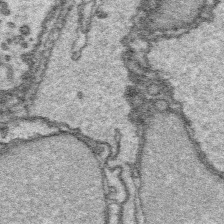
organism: Platynereis dumerilii